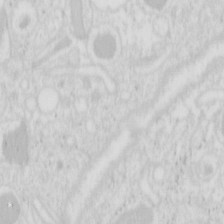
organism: Mouse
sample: Pancreas